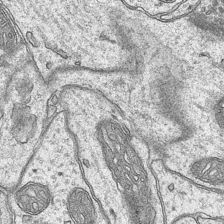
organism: Mouse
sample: CA1 Hippocampus